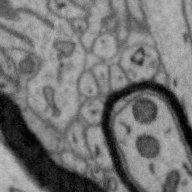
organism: Zebra finch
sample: Brain